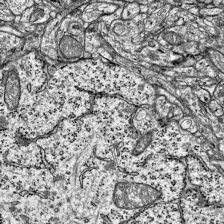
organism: Mouse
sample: Visual Cortex